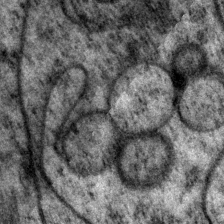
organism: P. pacificus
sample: Pharynx